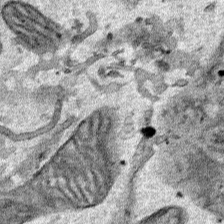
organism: Human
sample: Mitochondria in HCT116 cells